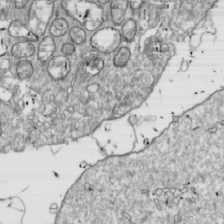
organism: Drosophila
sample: Cell division; meiosis; drosophila spermatocytes